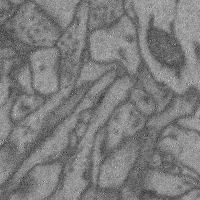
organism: Mouse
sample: Cerebral cortex